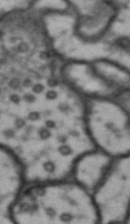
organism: Drosophila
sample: Brain